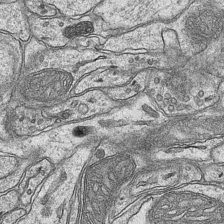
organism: Mouse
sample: CA1 Hippocampus